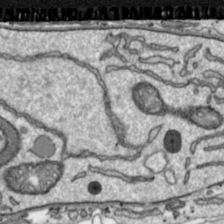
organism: Toxoplasma gondii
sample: Parasites in a vacuole inside a host cell